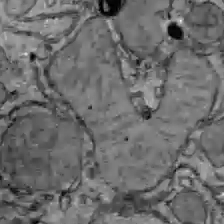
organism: C57BL Mouse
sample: Liver